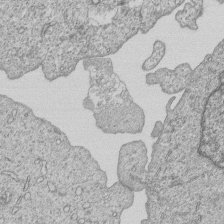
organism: Human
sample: MDA-MB-231 cells